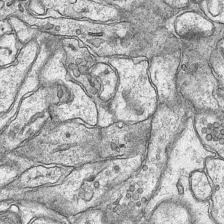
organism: Mouse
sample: CA1 Hippocampus